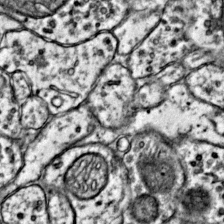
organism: Mouse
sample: Primary visual cortex